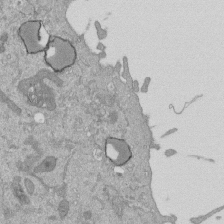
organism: Mouse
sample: ED-1 cell nuclei; centrioles